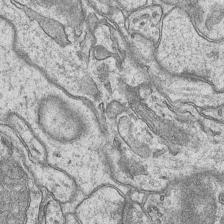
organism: Mouse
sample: CA1 Hippocampus